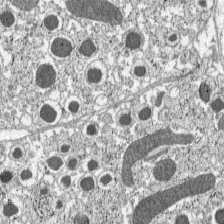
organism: C57BL Mouse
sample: Pancreatic islet